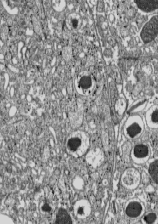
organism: C57BL Mouse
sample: Pancreatic islet